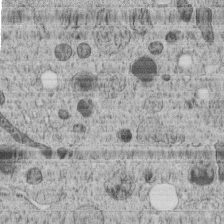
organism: C. elegans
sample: C. elegans embryo early stage